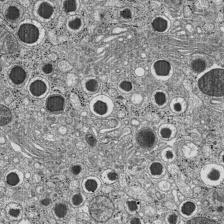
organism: C57BL Mouse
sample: Pancreatic islet